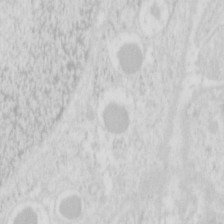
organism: Mouse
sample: Pancreas